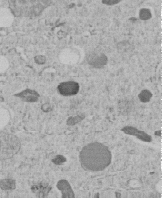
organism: C. elegans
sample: C. elegans embryo early stage